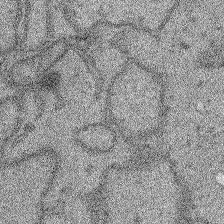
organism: Human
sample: HeLa cells